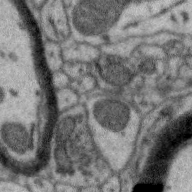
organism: Zebra finch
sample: Brain